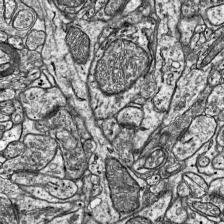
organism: Mouse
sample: Visual Cortex